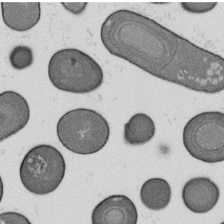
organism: B. subtilis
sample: Bacterial spore